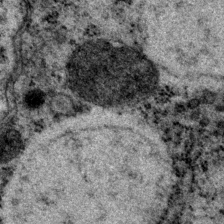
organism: P. pacificus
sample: Pharynx